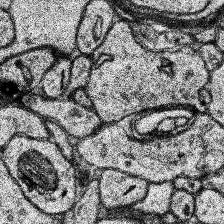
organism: Human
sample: Temporal Lobe